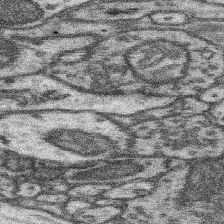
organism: Mouse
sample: Somatosensory cortex neuropil